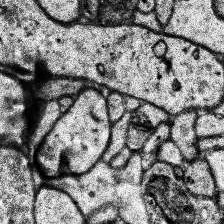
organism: Human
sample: Temporal Lobe